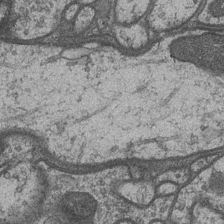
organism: Drosophila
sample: Optic medulla